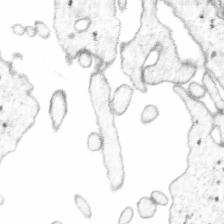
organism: Human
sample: HeLa cells